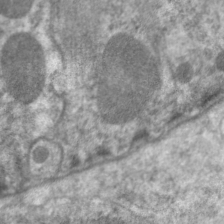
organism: C. elegans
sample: Pharynx